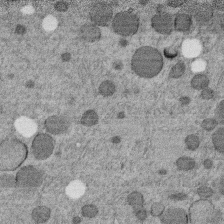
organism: C. elegans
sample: C. elegans embryo early stage